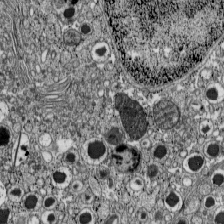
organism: C57BL Mouse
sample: Pancreatic islet